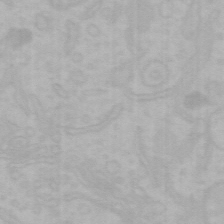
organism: Mouse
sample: Choroid plexus